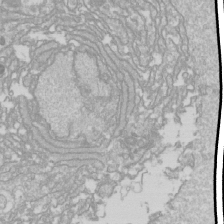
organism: Drosophila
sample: Cell division; meiosis; drosophila spermatocytes